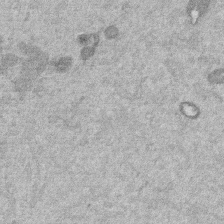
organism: Mouse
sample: Dividing mouse embryo 1 cell stage